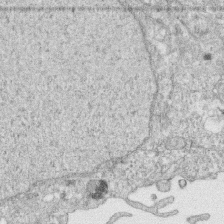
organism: Human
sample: HeLa cell HIV synapse